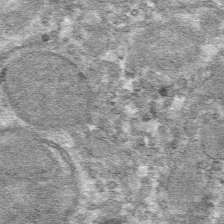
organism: Mouse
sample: Mouse hepatocytes